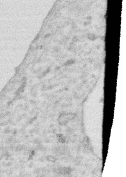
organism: Human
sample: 1205lu cells